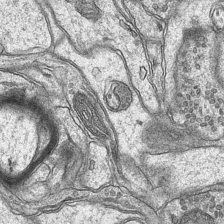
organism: Mouse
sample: CA1 Hippocampus